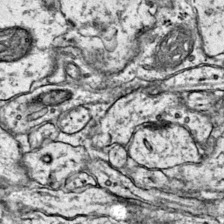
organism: Mouse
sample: Primary visual cortex